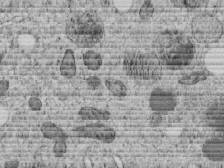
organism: C. elegans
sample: C. elegans embryo early stage